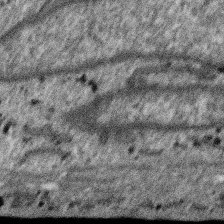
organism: Human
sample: Lung epithelial cells infected with SARS-CoV-2